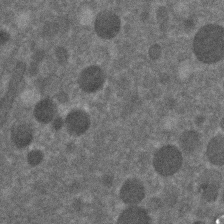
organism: C. elegans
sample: C. elegans embryo